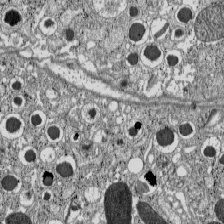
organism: C57BL Mouse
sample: Pancreatic islet